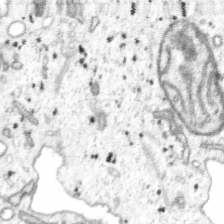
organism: Human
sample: HeLa cells